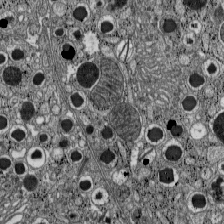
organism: C57BL Mouse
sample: Pancreatic islet